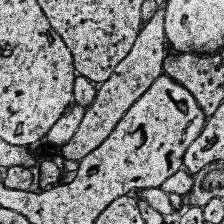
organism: Human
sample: Temporal Lobe